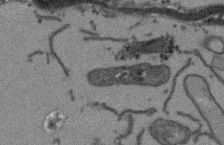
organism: Arabidopsis thaliana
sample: Root tip